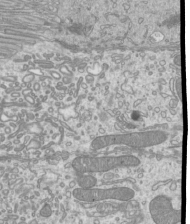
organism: Mouse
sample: Cilia; mouse epididymis